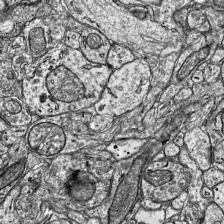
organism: Mouse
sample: Visual Cortex